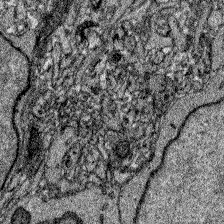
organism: Zebrafish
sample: Larval olfactory bulb